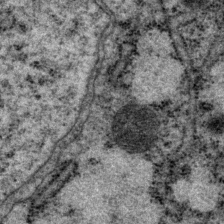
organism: P. pacificus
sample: Pharynx